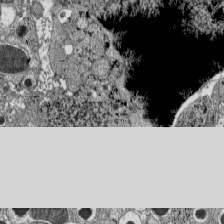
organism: C57BL Mouse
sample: Pancreatic islet